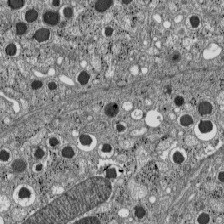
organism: C57BL Mouse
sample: Pancreatic islet